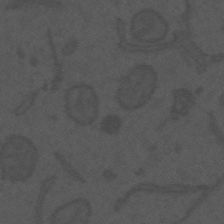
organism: Mouse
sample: Suprachiasmatic nucleus